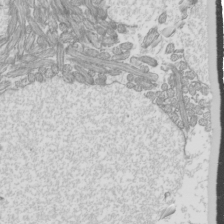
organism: Mouse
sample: Cilia; mouse epididymis